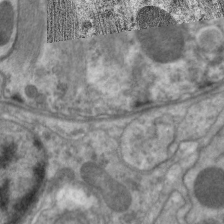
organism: C. elegans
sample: Pharynx